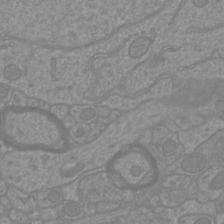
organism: Mouse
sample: Cortical neurons